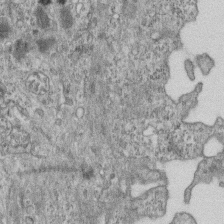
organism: Mouse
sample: Centriole in ependymal cells